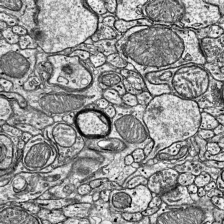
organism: Mouse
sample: Visual Cortex